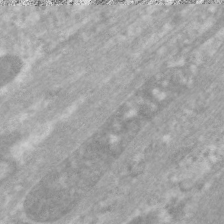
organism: C. elegans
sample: Pharynx